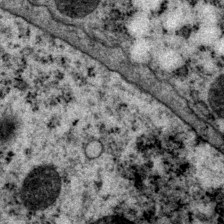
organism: P. pacificus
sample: Pharynx